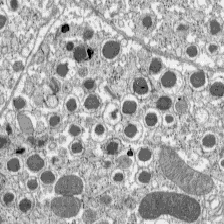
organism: C57BL Mouse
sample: Pancreatic islet